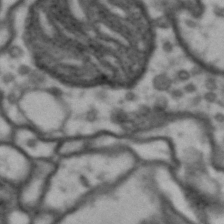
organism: Drosophila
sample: Brain